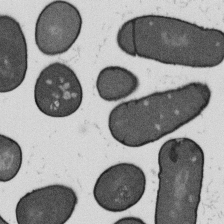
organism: B. subtilis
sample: Bacterial spore